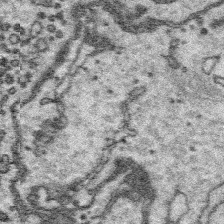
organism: Platynereis dumerilii